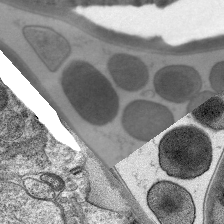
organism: C. elegans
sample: Pharynx